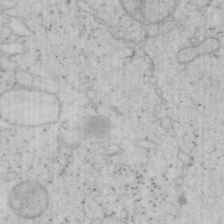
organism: Human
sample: HeLa cells